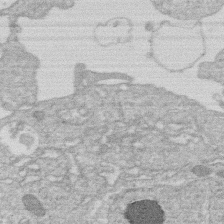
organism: Human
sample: Macrophage cells